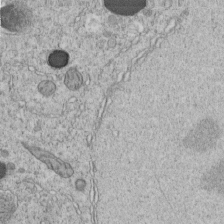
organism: C. elegans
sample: C. elegans embryo early stage